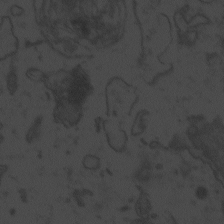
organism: Zebrafish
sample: Macrophage infected with Toxoplasma gondii